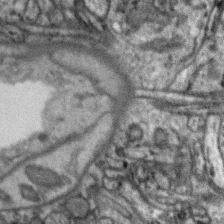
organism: Zebra finch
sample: Brain